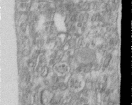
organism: Human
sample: Centriole in RPE cells